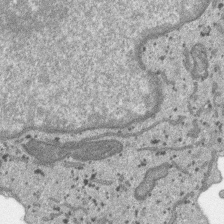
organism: Human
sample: Lung epithelial cells infected with SARS-CoV-2